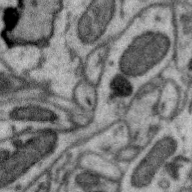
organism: Zebra finch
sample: Brain